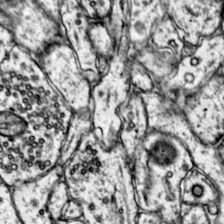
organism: Mouse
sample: Primary visual cortex